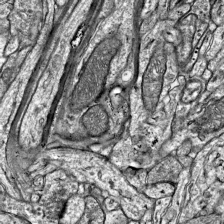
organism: Mouse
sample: Visual Cortex